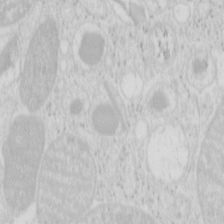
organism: Mouse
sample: Pancreas